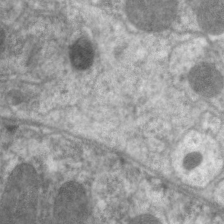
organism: C. elegans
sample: Pharynx